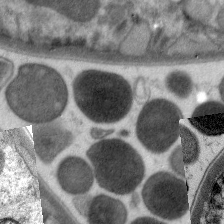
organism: C. elegans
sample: Pharynx